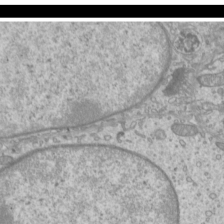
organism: Mouse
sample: Cilia; mouse epididymis